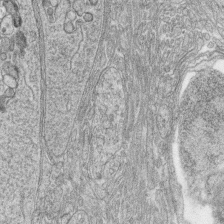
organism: Zebrafish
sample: synaptic ribbons in rod cells and cone cells